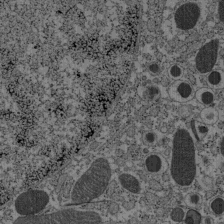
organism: C57BL Mouse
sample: Pancreatic islet